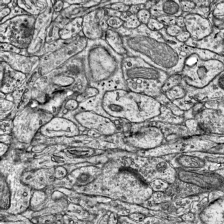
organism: Mouse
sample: Visual Cortex